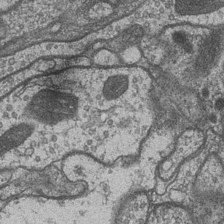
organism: Drosophila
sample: Optic medulla